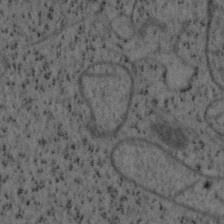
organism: Human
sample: HeLa cells